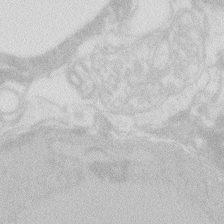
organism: Zebrafish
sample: Macrophage